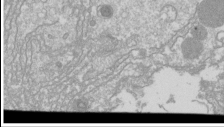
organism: Drosophila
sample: Cell division; meiosis; drosophila spermatocytes